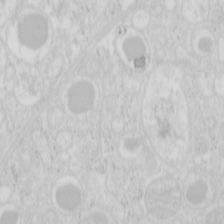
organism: Mouse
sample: Pancreas